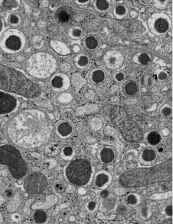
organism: C57BL Mouse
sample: Pancreatic islet